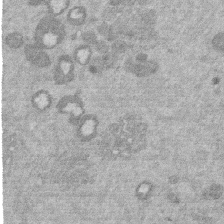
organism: Mouse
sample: Dividing mouse embryo 1 cell stage